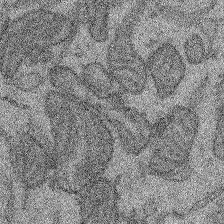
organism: Human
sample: HeLa cells